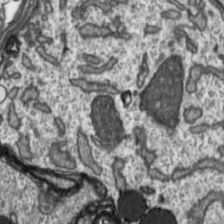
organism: Toxoplasma gondii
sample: Parasites in a vacuole inside a host cell